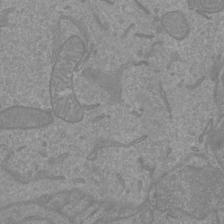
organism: Mouse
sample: Cortical neurons